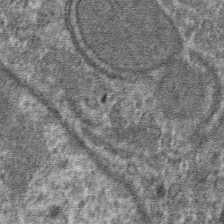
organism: Mouse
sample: Mouse hepatocytes